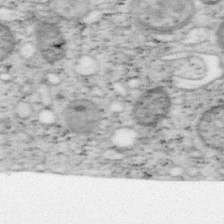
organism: Mouse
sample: OT-I killer T cells with ID8 ovarian cancer cells